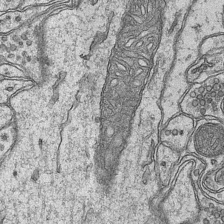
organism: Mouse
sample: CA1 Hippocampus